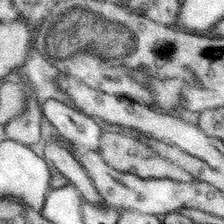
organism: Mouse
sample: Somatosensory cortex neuropil